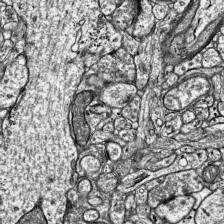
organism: Mouse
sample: Visual Cortex